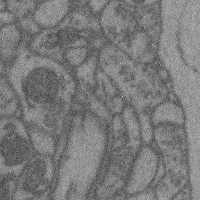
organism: Mouse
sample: Cerebral cortex